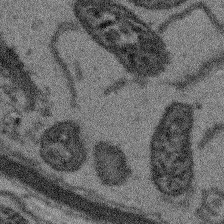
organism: Arabidopsis thaliana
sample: Root tip